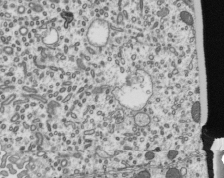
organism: Mouse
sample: Mouse epididymis efferent ductule cilia